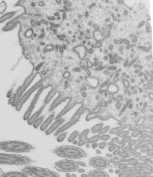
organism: Mouse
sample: Mouse epididymis efferent ductule cilia